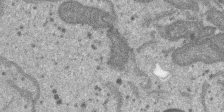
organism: Human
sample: Lung epithelial cells infected with SARS-CoV-2